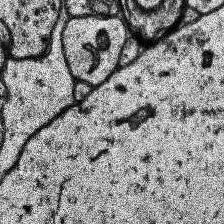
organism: Human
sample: Temporal Lobe